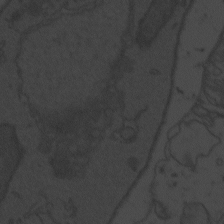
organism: Zebrafish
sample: Macrophage infected with Toxoplasma gondii